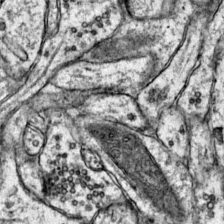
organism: Mouse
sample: Primary visual cortex